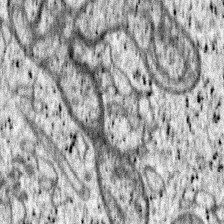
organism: Human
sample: HeLa cells